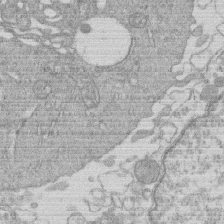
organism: Human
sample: Macrophage cells